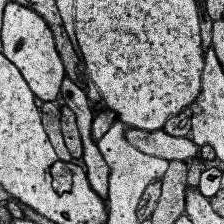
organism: Human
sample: Temporal Lobe